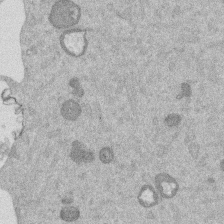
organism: Mouse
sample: Dividing mouse embryo 1 cell stage